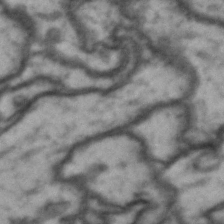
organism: Drosophila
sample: Brain